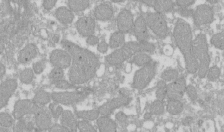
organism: Xenopus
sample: Cilia; centrioles in frog embryo cells